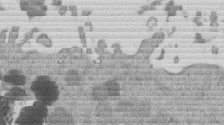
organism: Mouse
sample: Dividing mouse embryo 1 cell stage